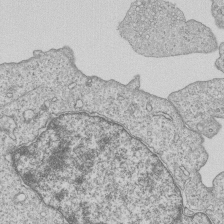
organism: Human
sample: MDA-MB-231 cells